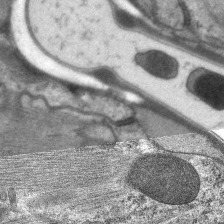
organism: C. elegans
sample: Pharynx